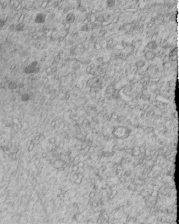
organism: C. elegans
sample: C. elegans embryo early stage